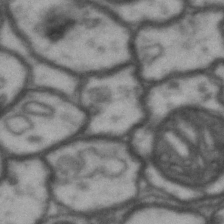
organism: Drosophila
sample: Brain